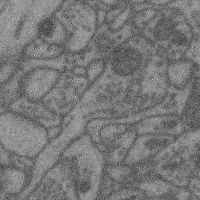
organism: Mouse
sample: Cerebral cortex